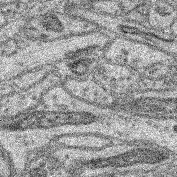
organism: Mouse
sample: Retina